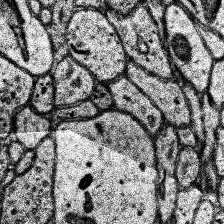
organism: Human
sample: Temporal Lobe